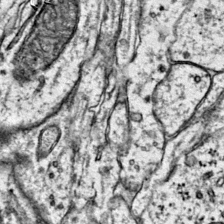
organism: Mouse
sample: Primary visual cortex